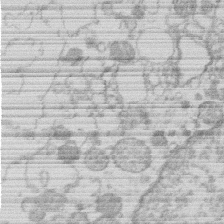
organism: Human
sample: Macrophage cells